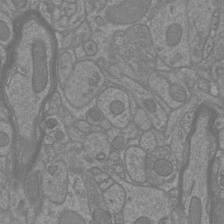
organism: Mouse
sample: Cortical neurons